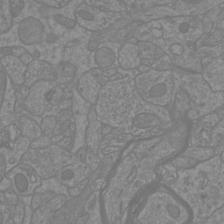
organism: Mouse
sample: Cortical neurons